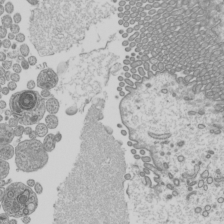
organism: Mouse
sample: Cilia; mouse epididymis